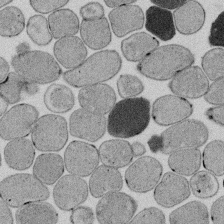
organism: E. coli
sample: Bacterial nucleoid